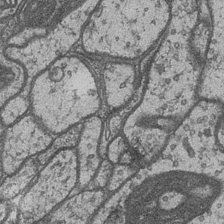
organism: Drosophila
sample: Optic medulla